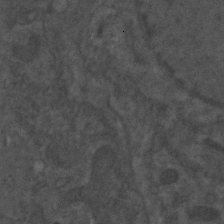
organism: C. elegans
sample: C. elegans embryo